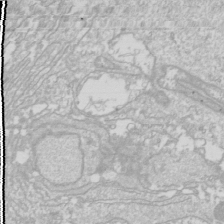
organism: Drosophila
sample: Cell division; meiosis; drosophila spermatocytes